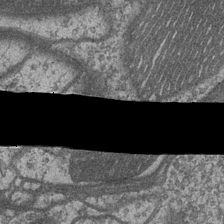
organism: Drosophila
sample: Optic medulla